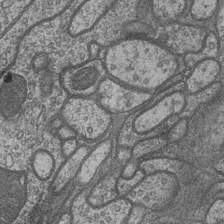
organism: Drosophila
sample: Optic medulla